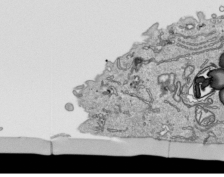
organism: Human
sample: Mitochondria in HCT116 cells